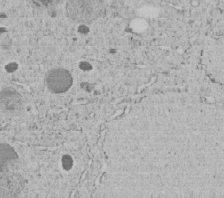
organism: C. elegans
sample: C. elegans embryo early stage